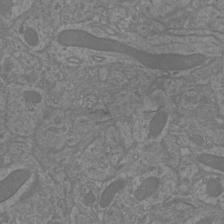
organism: Mouse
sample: Cortical neurons